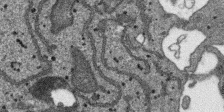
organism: Human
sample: Lung epithelial cells infected with SARS-CoV-2